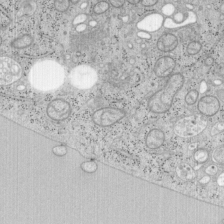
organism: Mouse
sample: OT-I killer T cells with ID8 ovarian cancer cells